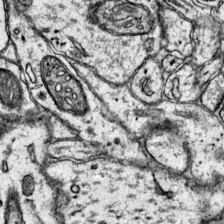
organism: Mouse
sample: Primary visual cortex